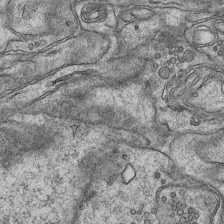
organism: Mouse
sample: CA1 Hippocampus